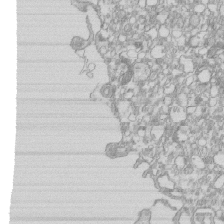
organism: Mouse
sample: Macrophages